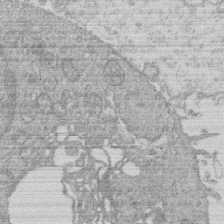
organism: Human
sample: Macrophage cells